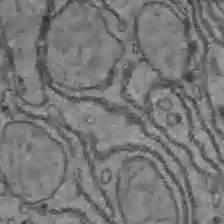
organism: C57BL Mouse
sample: Liver